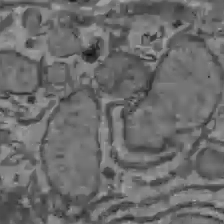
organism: C57BL Mouse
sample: Liver